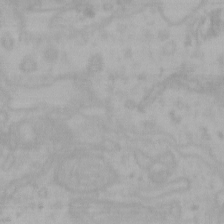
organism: Mouse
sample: Choroid plexus